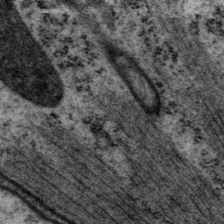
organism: P. pacificus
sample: Pharynx